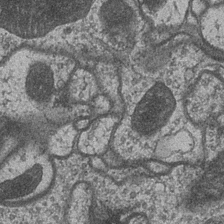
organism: Drosophila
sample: Optic medulla